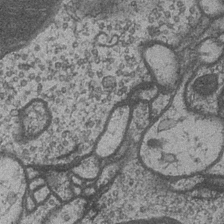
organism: Drosophila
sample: Optic medulla